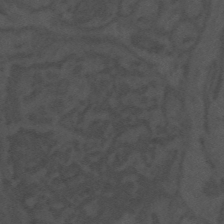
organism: Mouse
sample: Suprachiasmatic nucleus